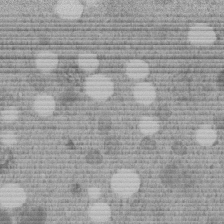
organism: C. elegans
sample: C. elegans embryo early stage